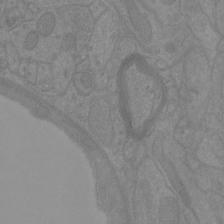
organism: Mouse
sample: Cortical neurons